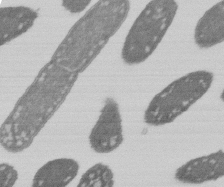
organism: E. coli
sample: Bacterial nucleoid